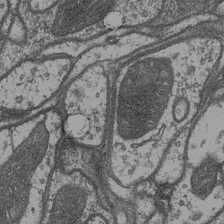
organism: Drosophila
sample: Optic medulla